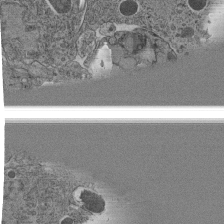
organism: C. elegans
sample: C. elegans pharynx